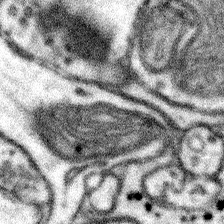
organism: Mouse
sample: Somatosensory cortex neuropil